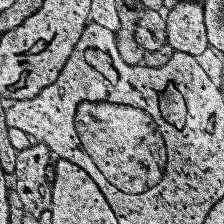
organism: Human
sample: Temporal Lobe